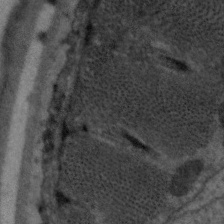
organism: C. elegans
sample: Pharynx